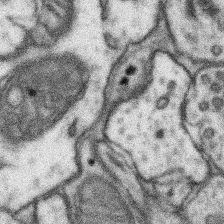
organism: Mouse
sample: Somatosensory cortex neuropil